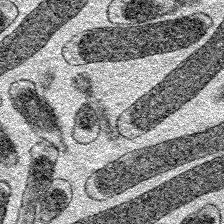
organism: E. coli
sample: E. Coli Bacteria